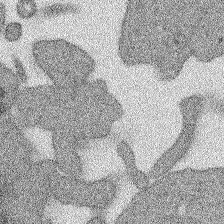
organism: Human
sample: HeLa cells